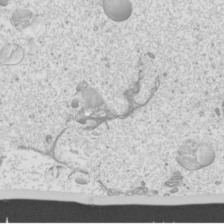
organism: Mouse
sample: Cilia; mouse epididymis